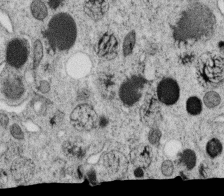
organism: C. elegans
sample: C. elegans oocyte; sperm cells